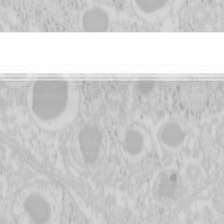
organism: Mouse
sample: Pancreas